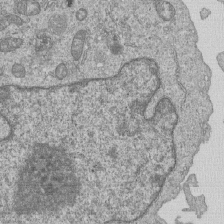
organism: Human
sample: MDA-MB-231 cells